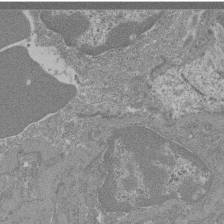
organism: Mouse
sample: Glomerulus